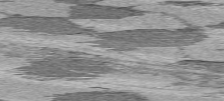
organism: C57BL Mouse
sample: Heart